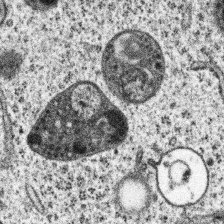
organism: Human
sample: HeLa cells